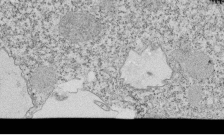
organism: Tetrahymena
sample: Cilia in tetrahymena